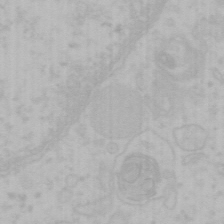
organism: Mouse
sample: Choroid plexus